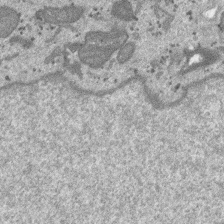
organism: Human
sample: Lung epithelial cells infected with SARS-CoV-2